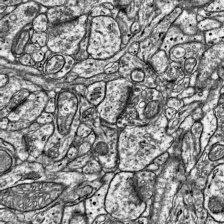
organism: Mouse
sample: Visual Cortex